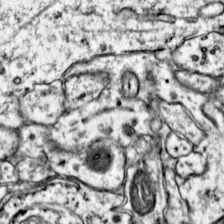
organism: Mouse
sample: Primary visual cortex